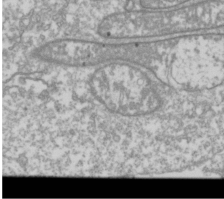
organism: Drosophila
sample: Cell division; meiosis; drosophila spermatocytes